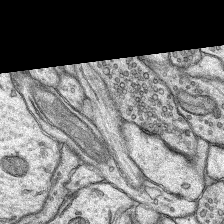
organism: Rat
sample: Hippocampus